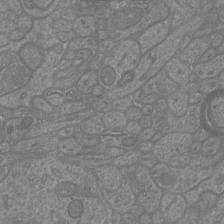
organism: Mouse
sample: Cortical neurons